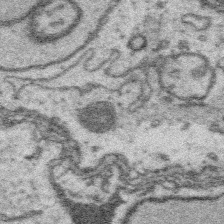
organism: Platynereis dumerilii